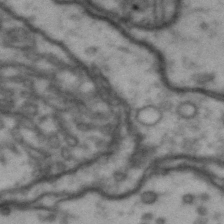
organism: Drosophila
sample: Brain